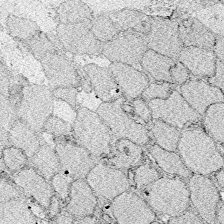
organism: Zebrafish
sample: Whole-Brain